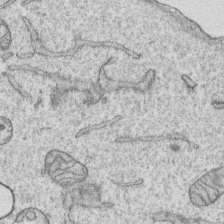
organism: Human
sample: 1205lu cells